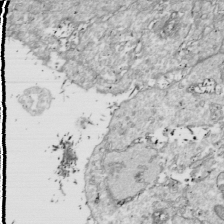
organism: Drosophila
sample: Cell division; meiosis; drosophila spermatocytes